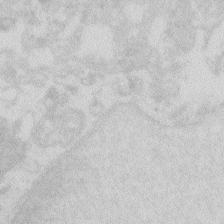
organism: Zebrafish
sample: Macrophage